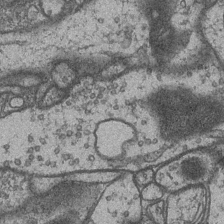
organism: Drosophila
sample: Optic medulla